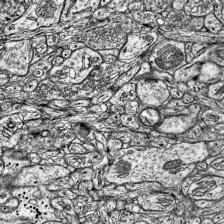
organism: Mouse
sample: Visual Cortex